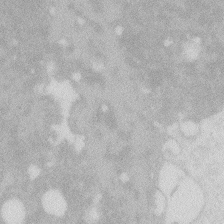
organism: Zebrafish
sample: Macrophage